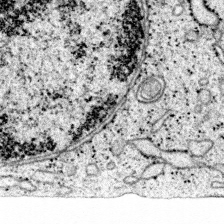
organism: Human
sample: HeLa cells